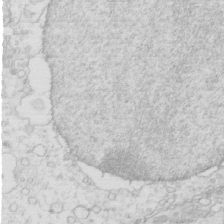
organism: Mouse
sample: Multiciliated cells